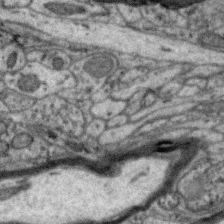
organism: Zebra finch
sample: Brain